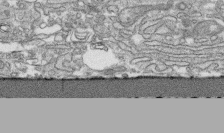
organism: Human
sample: CRL-1474